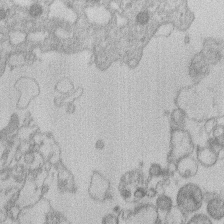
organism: Human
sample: Macrophage cells